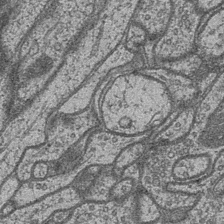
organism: Drosophila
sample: Optic medulla